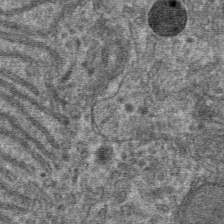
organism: Mouse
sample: Mouse hepatocytes